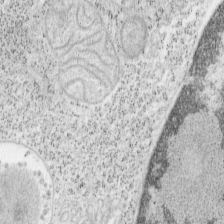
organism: Mouse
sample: OT-I killer T cells with ID8 ovarian cancer cells